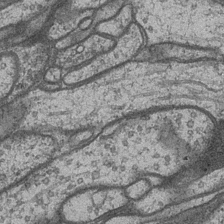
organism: Drosophila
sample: Optic medulla